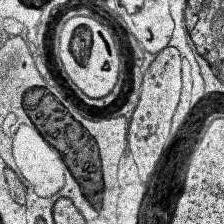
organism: Human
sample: Temporal Lobe